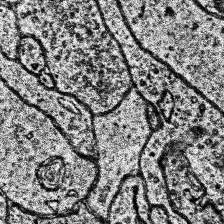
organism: Human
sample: Temporal Lobe